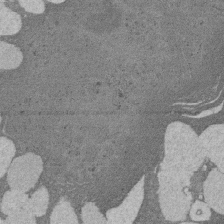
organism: Rat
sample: Salivary granule